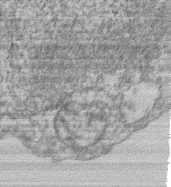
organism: Mouse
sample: T cell stromal cell synapse